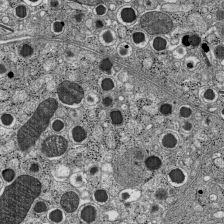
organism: C57BL Mouse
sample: Pancreatic islet